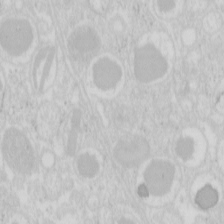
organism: Mouse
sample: Pancreas